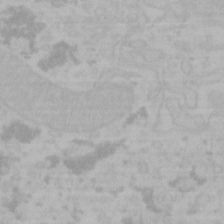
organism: Mouse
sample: Choroid plexus